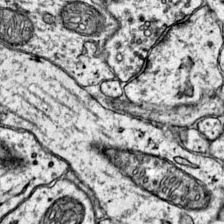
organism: Mouse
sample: Primary visual cortex